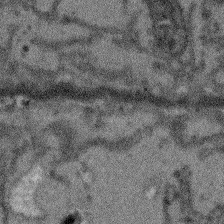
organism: Arabidopsis thaliana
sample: Root tip